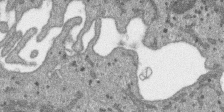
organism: Human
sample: Lung epithelial cells infected with SARS-CoV-2